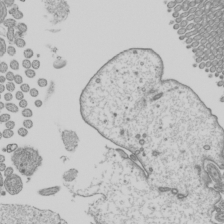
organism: Mouse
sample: Cilia; mouse epididymis